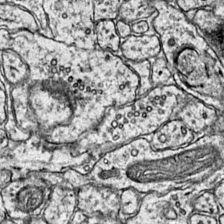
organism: Mouse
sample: Primary visual cortex